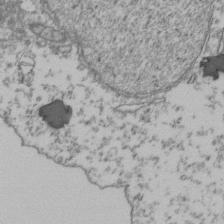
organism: Human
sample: Activated Jurkat CD4+ T cells